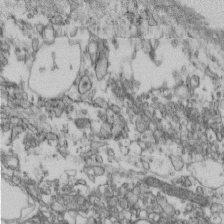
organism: Mouse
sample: Cilia; retinal pigment epithelium